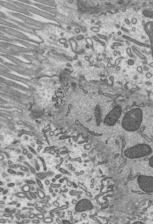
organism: Mouse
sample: Mouse epididymis efferent ductule cilia